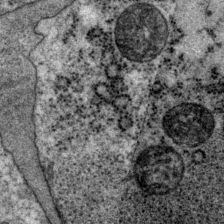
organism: P. pacificus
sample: Pharynx